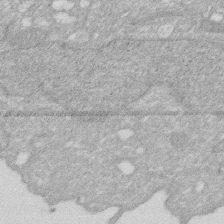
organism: Human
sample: HIV infected U937 cells